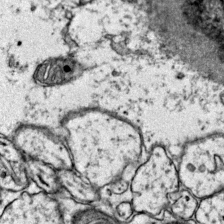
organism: Mouse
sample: Primary visual cortex